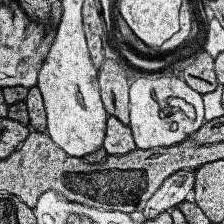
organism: Human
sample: Temporal Lobe